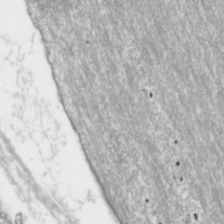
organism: Toxoplasma gondii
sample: Parasites in a vacuole inside a host cell